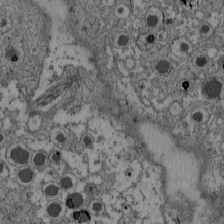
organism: C57BL Mouse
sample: Pancreatic islet